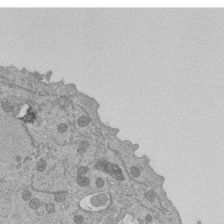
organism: Mouse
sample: ED-1 cell nuclei; centrioles